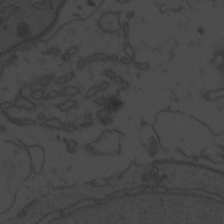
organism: Zebrafish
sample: Macrophage infected with Toxoplasma gondii